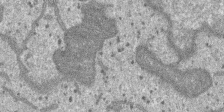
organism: Human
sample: Lung epithelial cells infected with SARS-CoV-2